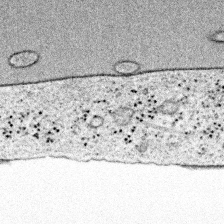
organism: Human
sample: HeLa cells